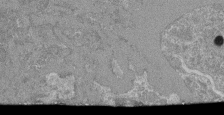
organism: Mouse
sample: Glomerulus